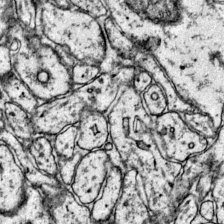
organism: Mouse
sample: Primary visual cortex